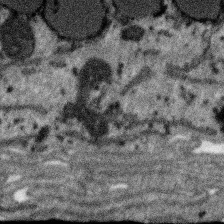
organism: Human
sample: Lung epithelial cells infected with SARS-CoV-2